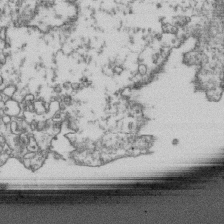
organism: Human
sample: Activated Jurkat CD4+ T cells